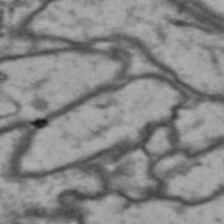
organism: Drosophila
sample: Brain